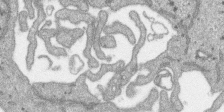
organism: Human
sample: Lung epithelial cells infected with SARS-CoV-2